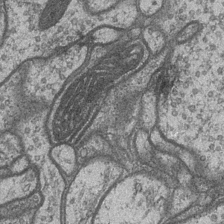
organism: Drosophila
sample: Optic medulla